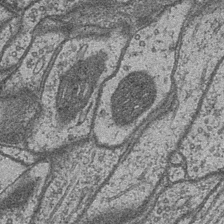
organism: Drosophila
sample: Optic medulla